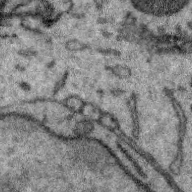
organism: Zebra finch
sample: Brain